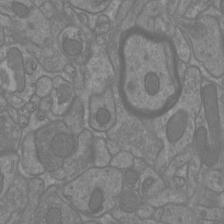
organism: Mouse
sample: Cortical neurons